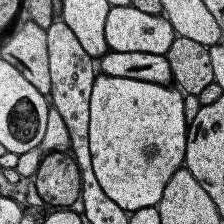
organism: Human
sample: Temporal Lobe